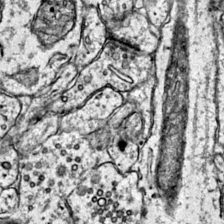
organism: Mouse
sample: Primary visual cortex